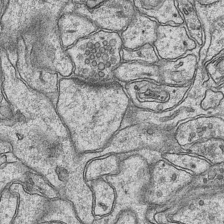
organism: Mouse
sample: CA1 Hippocampus